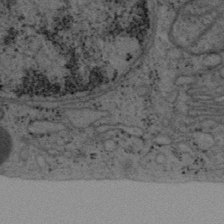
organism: Human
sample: HeLa cells